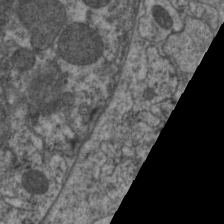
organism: C. elegans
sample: Pharynx